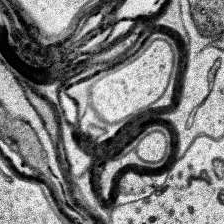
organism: Human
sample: Temporal Lobe